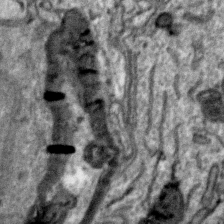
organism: Zebra finch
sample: Brain